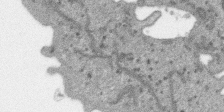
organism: Human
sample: Lung epithelial cells infected with SARS-CoV-2